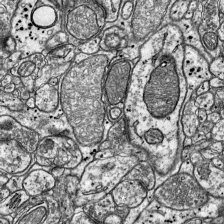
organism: Mouse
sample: Visual Cortex